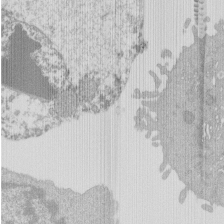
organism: Mouse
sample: Activated Pmel transgenic CD8+ T Cells